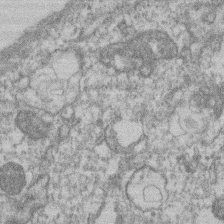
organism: Mouse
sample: T cell stromal cell synapse